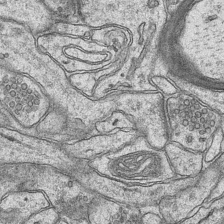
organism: Mouse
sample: CA1 Hippocampus